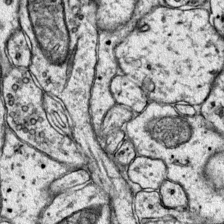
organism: Mouse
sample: Primary visual cortex